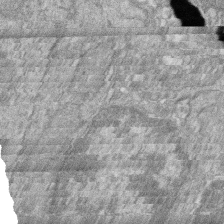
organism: Zebrafish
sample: Cilia; retinal pigment epithelium